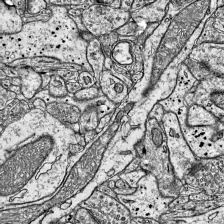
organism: Mouse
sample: Visual Cortex